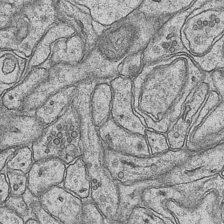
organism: Mouse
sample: CA1 Hippocampus